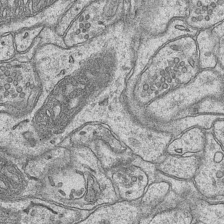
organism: Mouse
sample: CA1 Hippocampus